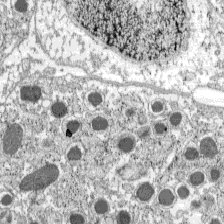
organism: C57BL Mouse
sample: Pancreatic islet